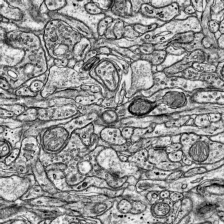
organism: Mouse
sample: Visual Cortex